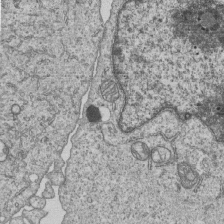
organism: Human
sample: MDA-MB-231 cells